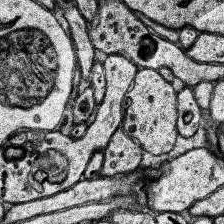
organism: Human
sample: Temporal Lobe